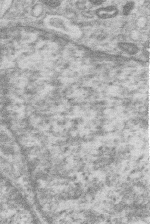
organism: Human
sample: Macrophage cells